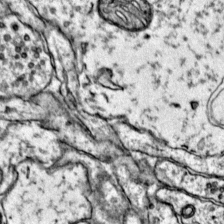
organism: Mouse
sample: Primary visual cortex